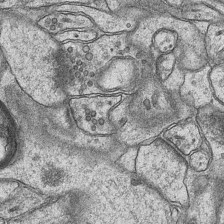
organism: Mouse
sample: CA1 Hippocampus